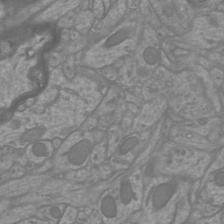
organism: Mouse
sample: Cortical neurons